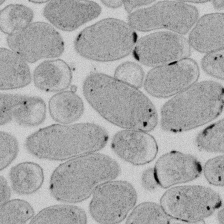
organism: E. coli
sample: Bacterial nucleoid